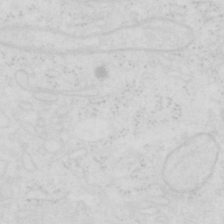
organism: Human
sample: SUM-159 cell